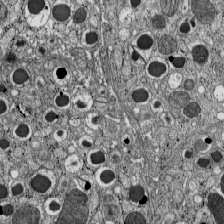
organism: C57BL Mouse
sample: Pancreatic islet